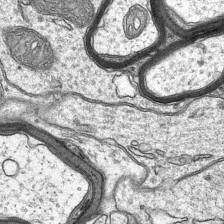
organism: Mouse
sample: CA1 Hippocampus